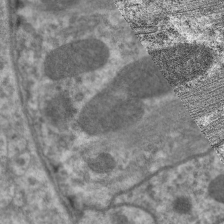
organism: C. elegans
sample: Pharynx